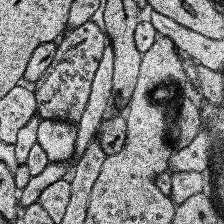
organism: Human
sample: Temporal Lobe